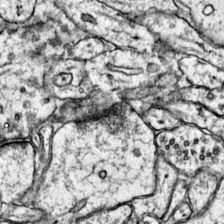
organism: Mouse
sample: Primary visual cortex